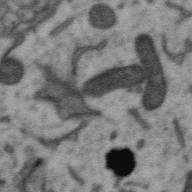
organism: Zebra finch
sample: Brain